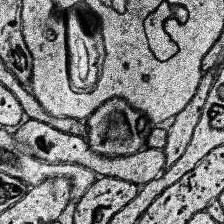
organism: Human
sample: Temporal Lobe